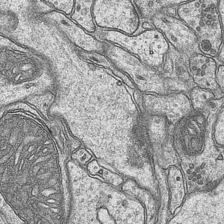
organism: Mouse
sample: CA1 Hippocampus